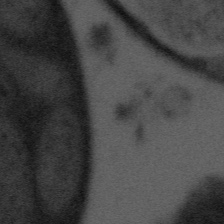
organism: Tuwongella immobilis